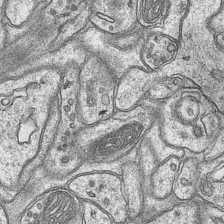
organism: Mouse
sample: CA1 Hippocampus